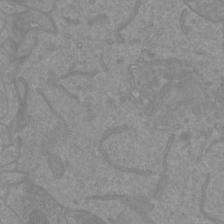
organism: Mouse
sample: Cortical neurons